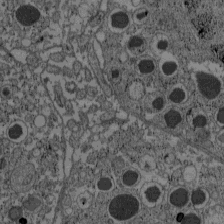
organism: C57BL Mouse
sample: Pancreatic islet